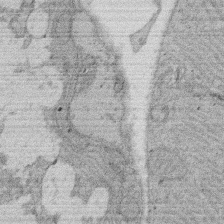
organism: Rat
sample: Salivary granule